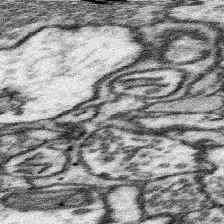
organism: Mouse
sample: Somatosensory cortex neuropil